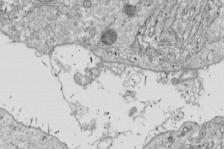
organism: Drosophila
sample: Cell division; meiosis; drosophila spermatocytes